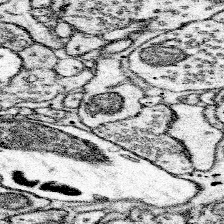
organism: Mouse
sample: Somatosensory cortex neuropil